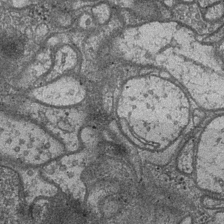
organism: Drosophila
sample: Optic medulla